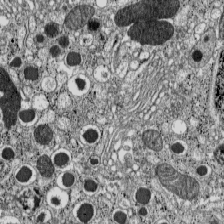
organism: C57BL Mouse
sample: Pancreatic islet